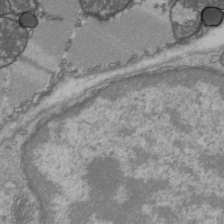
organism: C57BL Mouse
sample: Heart